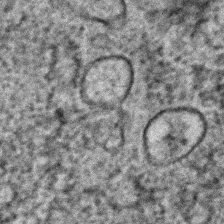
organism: C. elegans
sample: C. elegans embryo